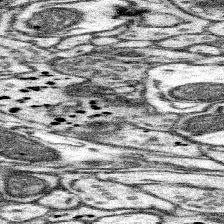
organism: Mouse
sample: Somatosensory cortex neuropil